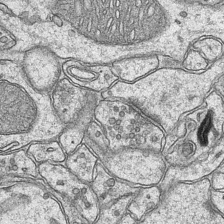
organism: Mouse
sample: CA1 Hippocampus